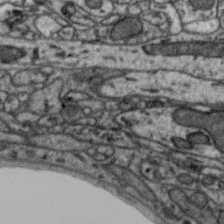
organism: Zebra finch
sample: Brain